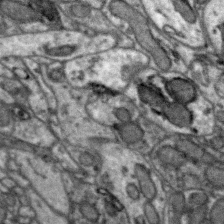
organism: Zebra finch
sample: Brain